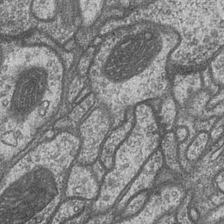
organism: Drosophila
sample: Optic medulla